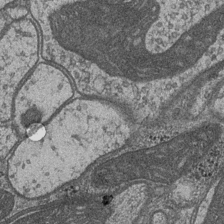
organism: Drosophila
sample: Optic medulla